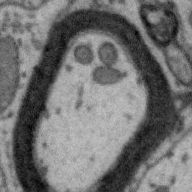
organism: Zebra finch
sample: Brain